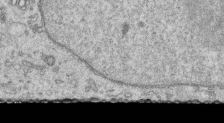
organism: Human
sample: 1205lu cells